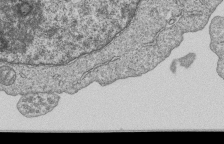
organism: Human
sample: MDA-MB-231 cells